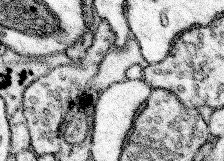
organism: Mouse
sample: Somatosensory cortex neuropil